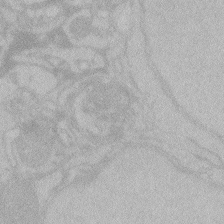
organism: Zebrafish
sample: Macrophage infected with Toxoplasma gondii